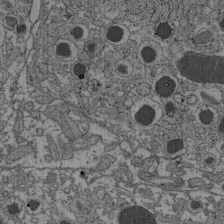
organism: C57BL Mouse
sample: Pancreatic islet